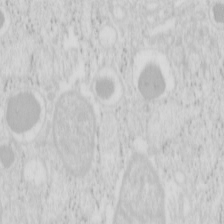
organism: Mouse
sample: Pancreas